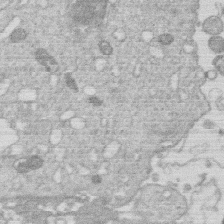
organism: Human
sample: Macrophage cells